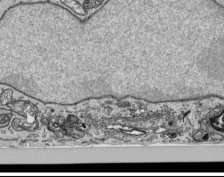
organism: Human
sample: Mitochondria in HCT116 cells